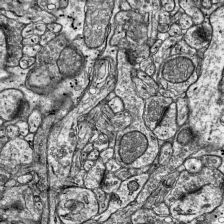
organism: Mouse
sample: Visual Cortex